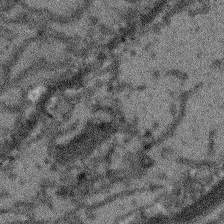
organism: Arabidopsis thaliana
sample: Root tip